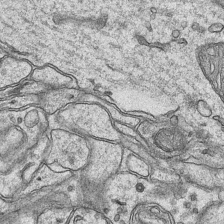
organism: Mouse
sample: CA1 Hippocampus